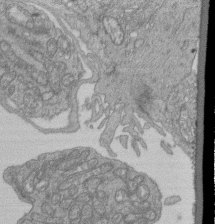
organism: Human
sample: Retinal organoid Rod and Cone cells